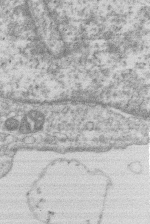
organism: Human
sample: Macrophage cells